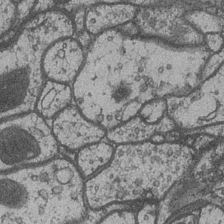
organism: Drosophila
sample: Optic medulla